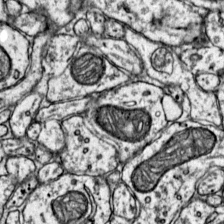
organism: Mouse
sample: Primary visual cortex